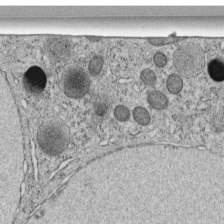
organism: C. elegans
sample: C. elegans embryo early stage